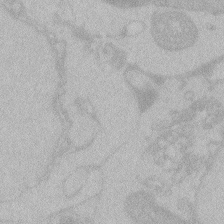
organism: Zebrafish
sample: Macrophage infected with Toxoplasma gondii